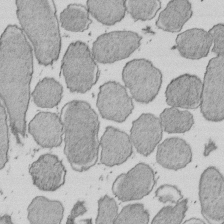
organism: E. coli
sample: Bacterial nucleoid